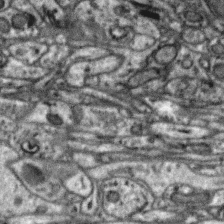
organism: Zebra finch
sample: Brain